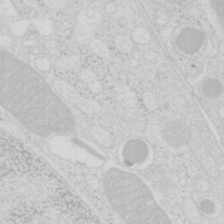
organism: Mouse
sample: Pancreas